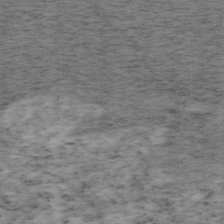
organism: Mouse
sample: OT-I killer T cells with ID8 ovarian cancer cells